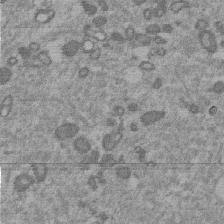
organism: Mouse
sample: Dividing mouse embryo 1 cell stage